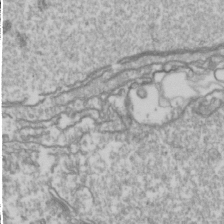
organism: Drosophila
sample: Cell division; meiosis; drosophila spermatocytes